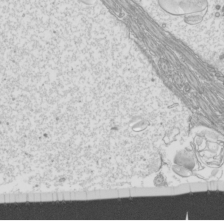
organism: Mouse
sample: Cilia; mouse epididymis